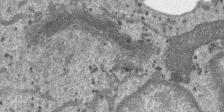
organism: Human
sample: Lung epithelial cells infected with SARS-CoV-2